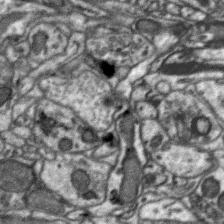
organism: Zebra finch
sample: Brain